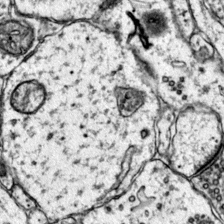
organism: Mouse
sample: Primary visual cortex